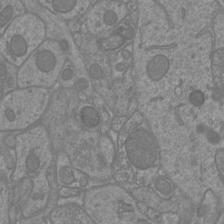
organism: Mouse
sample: Cortical neurons